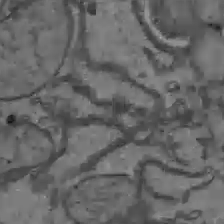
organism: C57BL Mouse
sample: Liver